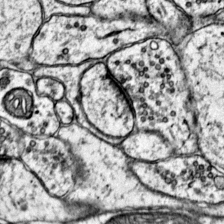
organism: Mouse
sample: Primary visual cortex